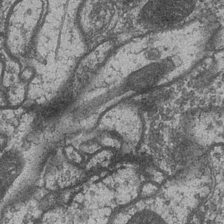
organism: Drosophila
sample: Optic medulla